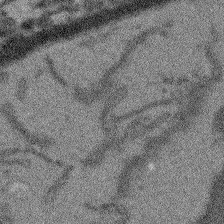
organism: Arabidopsis thaliana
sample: Root tip